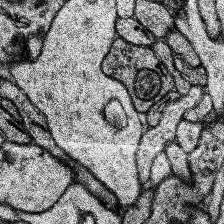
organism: Human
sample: Temporal Lobe